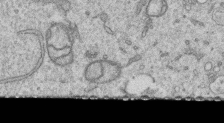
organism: Human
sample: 1205lu cells